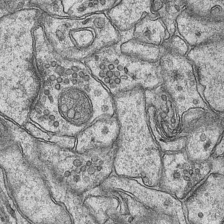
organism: Mouse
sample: CA1 Hippocampus